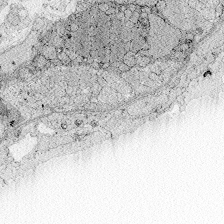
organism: Zebrafish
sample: Whole-Brain